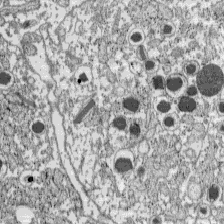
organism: C57BL Mouse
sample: Pancreatic islet